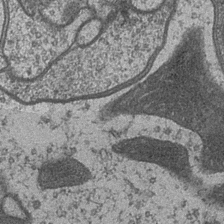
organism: Drosophila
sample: Optic medulla